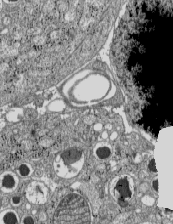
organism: C57BL Mouse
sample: Pancreatic islet